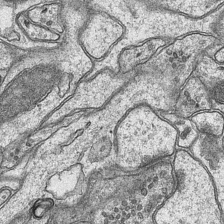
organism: Mouse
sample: CA1 Hippocampus